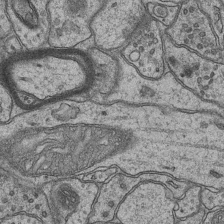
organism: Mouse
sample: CA1 Hippocampus